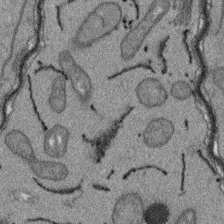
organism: Arabidopsis thaliana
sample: Root tip